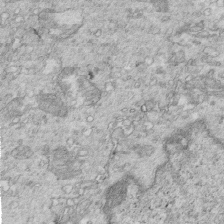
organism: Mouse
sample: Multiciliated cells